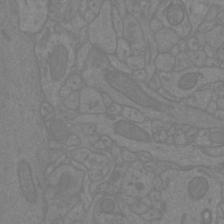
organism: Mouse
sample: Cortical neurons